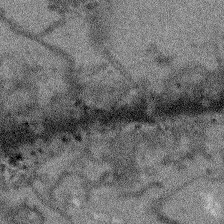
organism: Arabidopsis thaliana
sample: Root tip